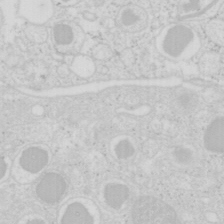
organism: Mouse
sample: Pancreas